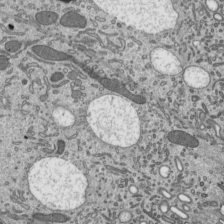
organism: Mouse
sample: Mouse epididymis efferent ductule cilia